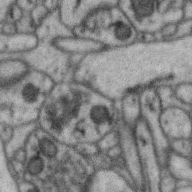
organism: Zebra finch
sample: Brain